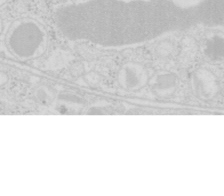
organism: Mouse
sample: Pancreas